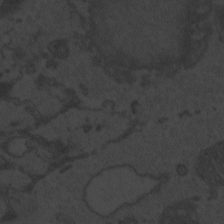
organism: Zebrafish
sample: Macrophage infected with Toxoplasma gondii